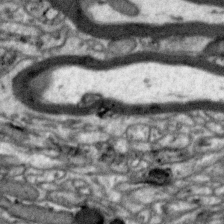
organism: Zebra finch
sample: Brain